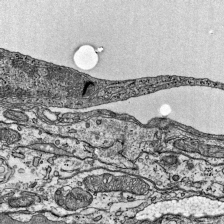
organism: Mouse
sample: Visual Cortex